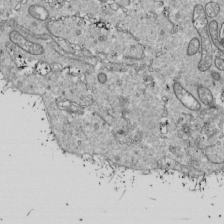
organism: Drosophila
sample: Cell division; meiosis; drosophila spermatocytes